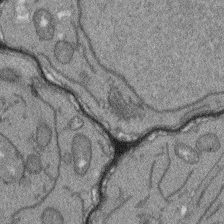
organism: Arabidopsis thaliana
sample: Root tip